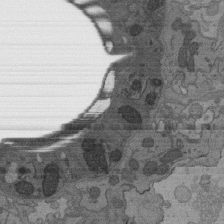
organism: C. elegans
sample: AFD neurons C. elegans